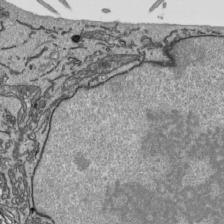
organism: Human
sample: Mitochondria in HCT116 cells